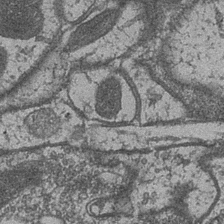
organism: Drosophila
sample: Optic medulla